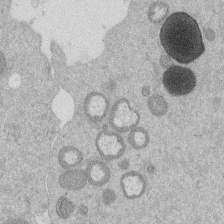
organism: Mouse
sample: Dividing mouse embryo 1 cell stage